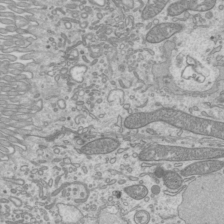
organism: Mouse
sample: Cilia; mouse epididymis